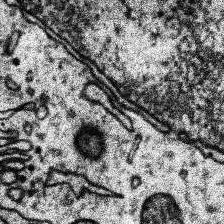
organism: Human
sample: Temporal Lobe